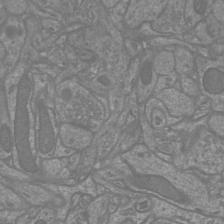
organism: Mouse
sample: Cortical neurons